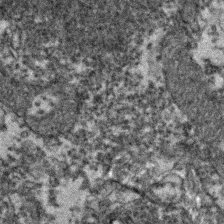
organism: Zebrafish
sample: Zebrafish embryo